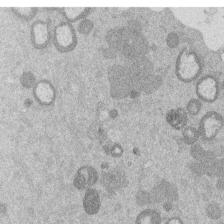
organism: Mouse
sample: Dividing mouse embryo 1 cell stage